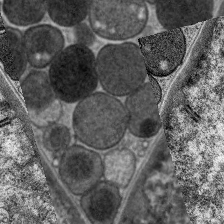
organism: C. elegans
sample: Pharynx